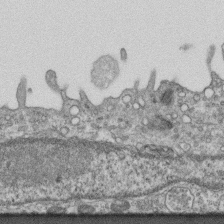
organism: Mouse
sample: Centriole in ependymal cells